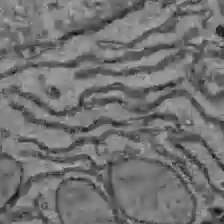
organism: C57BL Mouse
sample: Liver